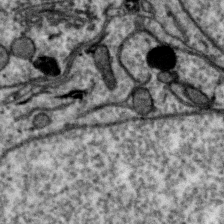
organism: Zebra finch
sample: Brain